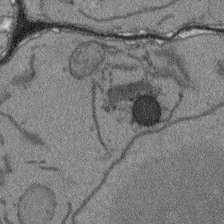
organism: Arabidopsis thaliana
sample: Root tip